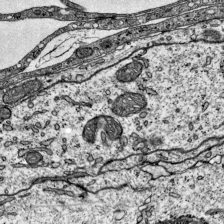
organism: Mouse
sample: Visual Cortex